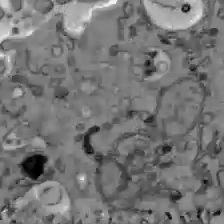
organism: C57BL Mouse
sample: Liver